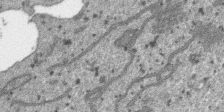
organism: Human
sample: Lung epithelial cells infected with SARS-CoV-2